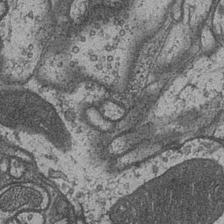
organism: Drosophila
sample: Optic medulla